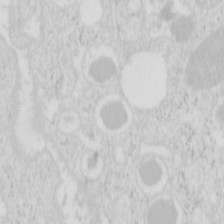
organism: Mouse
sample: Pancreas